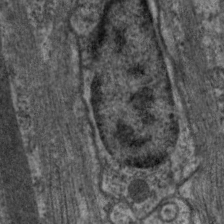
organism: C. elegans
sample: Pharynx